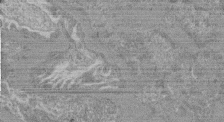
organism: Mouse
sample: Glomerulus